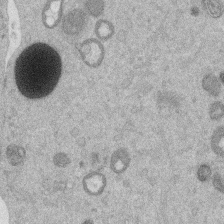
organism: Mouse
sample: Dividing mouse embryo 1 cell stage